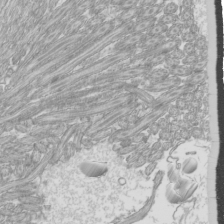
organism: Mouse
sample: Cilia; mouse epididymis